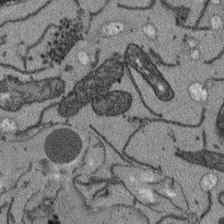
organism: Arabidopsis thaliana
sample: Root tip